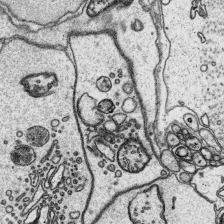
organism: Platynereis dumerilii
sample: Parapodia